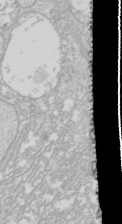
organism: Drosophila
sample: Cell division; meiosis; drosophila spermatocytes